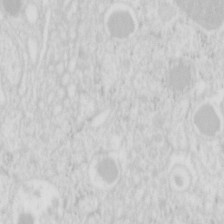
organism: Mouse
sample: Pancreas